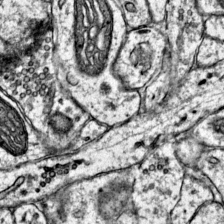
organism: Mouse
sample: Primary visual cortex